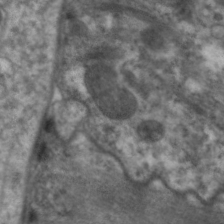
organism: C. elegans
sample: Pharynx